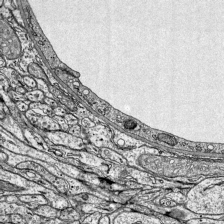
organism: Mouse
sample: Visual Cortex